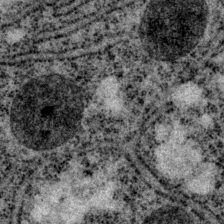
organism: P. pacificus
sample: Pharynx